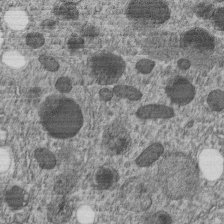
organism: C. elegans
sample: C. elegans embryo early stage